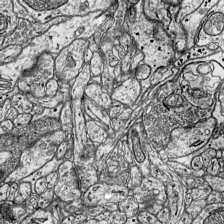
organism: Mouse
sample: Visual Cortex